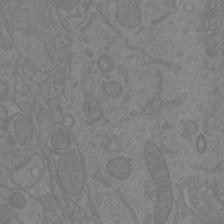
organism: Mouse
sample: Cortical neurons